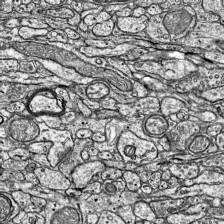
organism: Mouse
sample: Visual Cortex